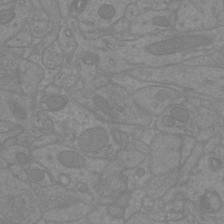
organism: Mouse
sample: Cortical neurons